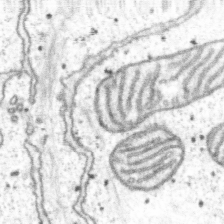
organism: Human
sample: HeLa cells